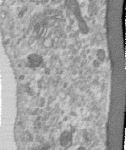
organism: Human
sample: Centriole in RPE cells